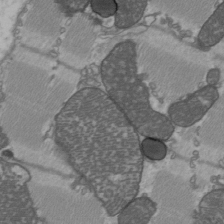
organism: C57BL Mouse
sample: Heart